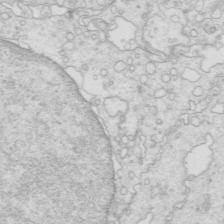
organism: Mouse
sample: Multiciliated cells